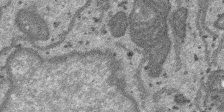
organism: Human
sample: Lung epithelial cells infected with SARS-CoV-2